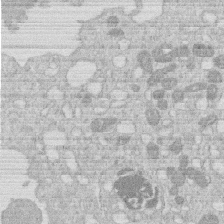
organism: Human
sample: Macrophage cells